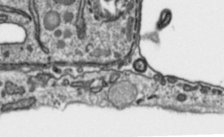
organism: Toxoplasma gondii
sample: Parasites in a vacuole inside a host cell